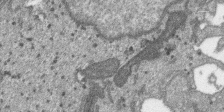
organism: Human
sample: Lung epithelial cells infected with SARS-CoV-2